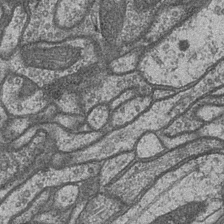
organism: Drosophila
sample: Optic medulla